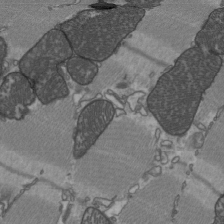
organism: C57BL Mouse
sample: Heart